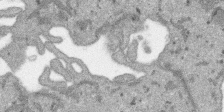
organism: Human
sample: Lung epithelial cells infected with SARS-CoV-2